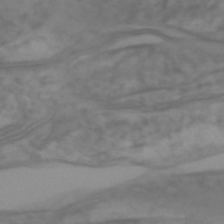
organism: Zebrafish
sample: Zebrafish embryo